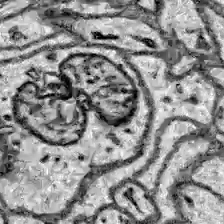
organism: Zebrafish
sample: Brain